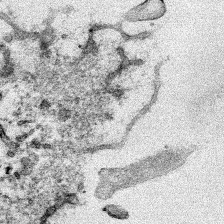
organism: Human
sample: Mitochondria in HCT116 cells